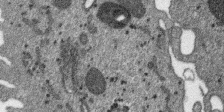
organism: Human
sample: Lung epithelial cells infected with SARS-CoV-2